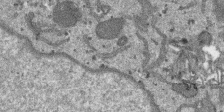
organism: Human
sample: Lung epithelial cells infected with SARS-CoV-2